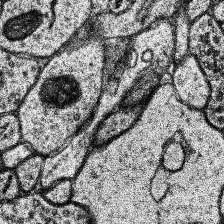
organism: Human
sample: Temporal Lobe